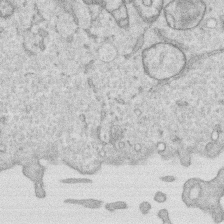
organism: Human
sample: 1205lu cells